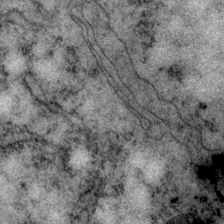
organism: P. pacificus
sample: Pharynx